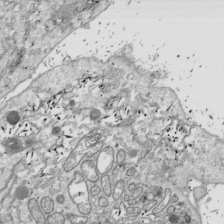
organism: Drosophila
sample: Cell division; meiosis; drosophila spermatocytes